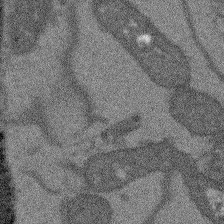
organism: Arabidopsis thaliana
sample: Root tip